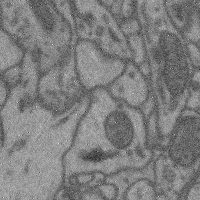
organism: Mouse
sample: Cerebral cortex